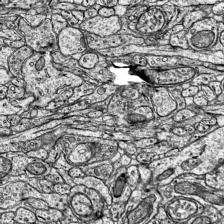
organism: Mouse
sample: Visual Cortex